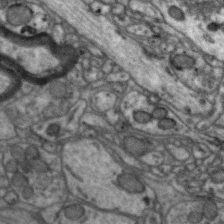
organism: Zebra finch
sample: Brain